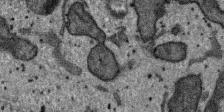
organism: Human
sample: Lung epithelial cells, uninfected (mock) control